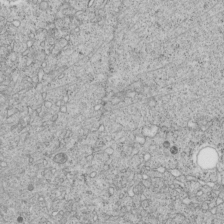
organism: C. elegans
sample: C. elegans embryo early stage